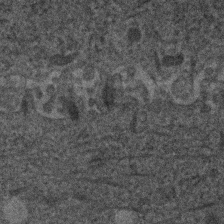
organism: Human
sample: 1205lu cells